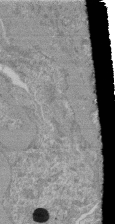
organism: Mouse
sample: Glomerulus